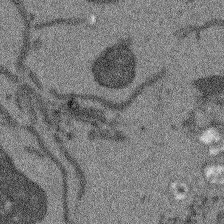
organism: Arabidopsis thaliana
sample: Root tip